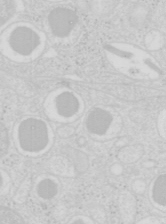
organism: Mouse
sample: Pancreas